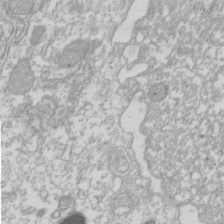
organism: Xenopus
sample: Cilia; centrioles in frog embryo cells